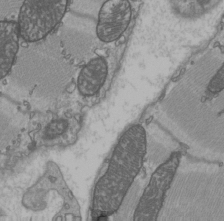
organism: C57BL Mouse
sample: Heart